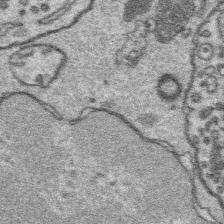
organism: Platynereis dumerilii